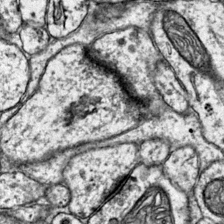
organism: Mouse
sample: Primary visual cortex